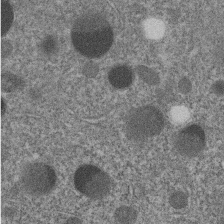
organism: C. elegans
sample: C. elegans embryo early stage